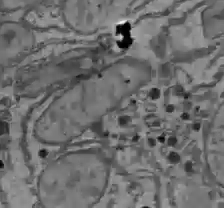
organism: C57BL Mouse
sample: Liver